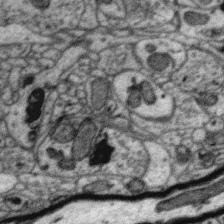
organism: Zebra finch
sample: Brain